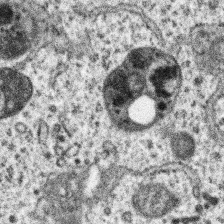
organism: Human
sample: HeLa cells